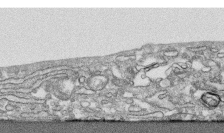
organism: Human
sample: CRL-1474